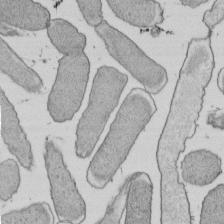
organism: E. coli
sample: Bacterial nucleoid